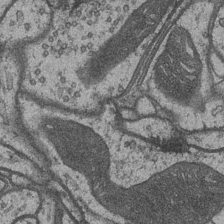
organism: Drosophila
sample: Optic medulla